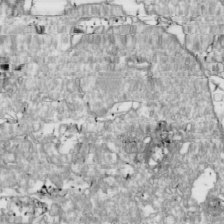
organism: Drosophila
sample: Cell division; meiosis; drosophila spermatocytes